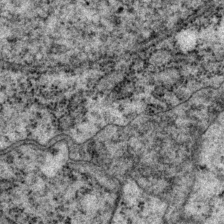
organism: P. pacificus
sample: Pharynx